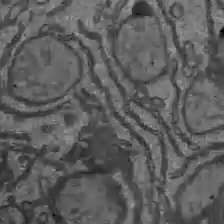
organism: C57BL Mouse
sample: Liver